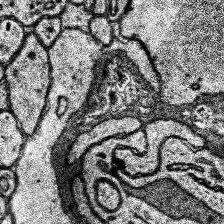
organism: Human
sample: Temporal Lobe